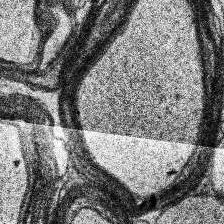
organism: Human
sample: Temporal Lobe